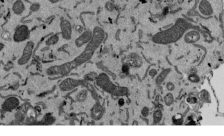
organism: Mouse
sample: ED-1 cell nuclei; centrioles